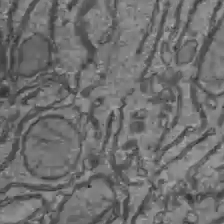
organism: C57BL Mouse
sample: Liver